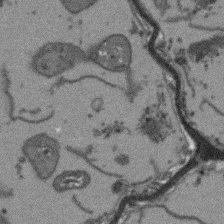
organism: Arabidopsis thaliana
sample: Root tip